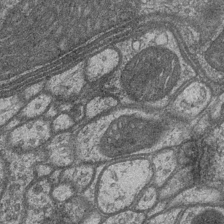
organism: Drosophila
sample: Optic medulla